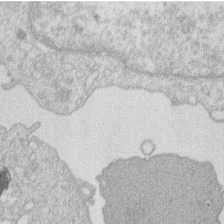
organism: Human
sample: Macrophage cells